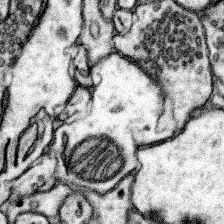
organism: Mouse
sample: Somatosensory cortex neuropil